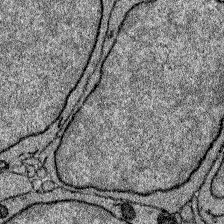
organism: Zebrafish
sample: Larval olfactory bulb